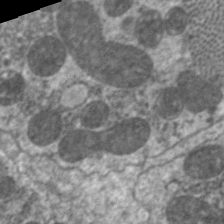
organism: C. elegans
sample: Pharynx